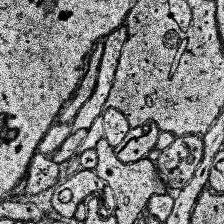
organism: Human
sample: Temporal Lobe